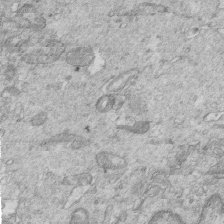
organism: Mouse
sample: Multiciliated cells